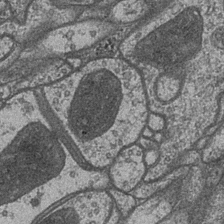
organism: Drosophila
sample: Optic medulla